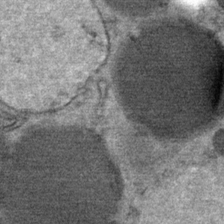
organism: Mouse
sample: Mouse Salivary gland